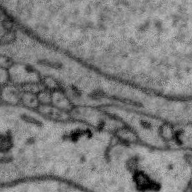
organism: Zebra finch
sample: Brain